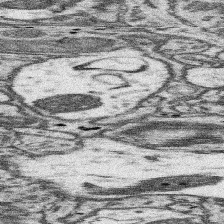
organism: Mouse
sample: Somatosensory cortex neuropil